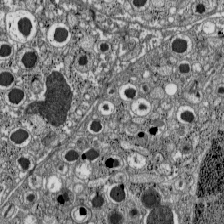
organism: C57BL Mouse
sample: Pancreatic islet